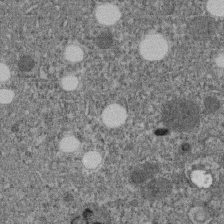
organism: C. elegans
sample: C. elegans embryo early stage